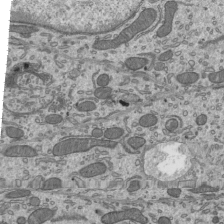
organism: Mouse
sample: Mouse epididymis efferent ductule cilia